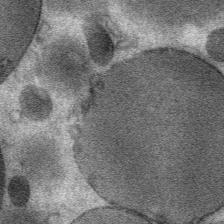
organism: Mouse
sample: Mouse Salivary gland